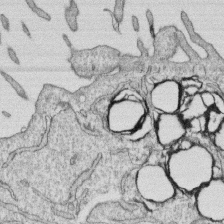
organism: Human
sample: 1205lu cells